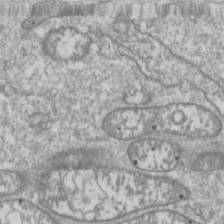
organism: Drosophila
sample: Cell division; meiosis; drosophila spermatocytes